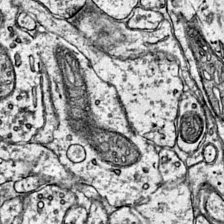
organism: Mouse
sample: Primary visual cortex